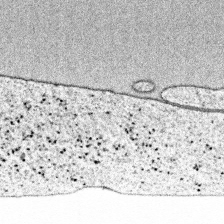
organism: Human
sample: HeLa cells